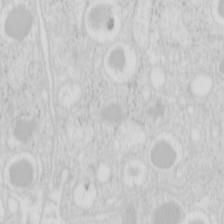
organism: Mouse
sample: Pancreas